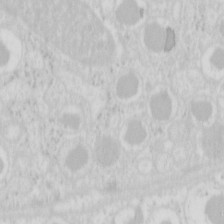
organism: Mouse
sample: Pancreas